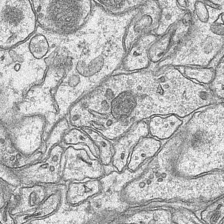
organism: Mouse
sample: CA1 Hippocampus